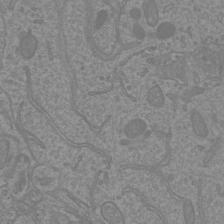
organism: Mouse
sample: Cortical neurons